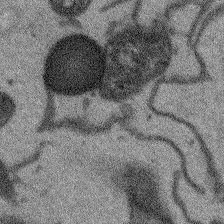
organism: Arabidopsis thaliana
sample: Root tip